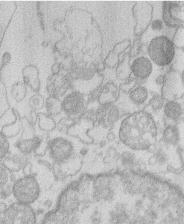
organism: Human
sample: Macrophage cells